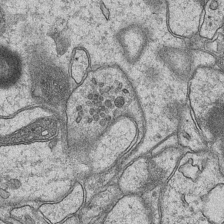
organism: Mouse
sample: CA1 Hippocampus